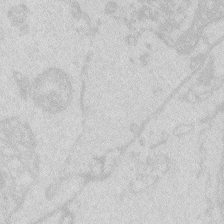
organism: Zebrafish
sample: Macrophage